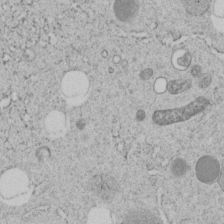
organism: C. elegans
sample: C. elegans embryo early stage